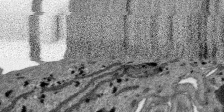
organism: Human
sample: Lung epithelial cells, uninfected (mock) control